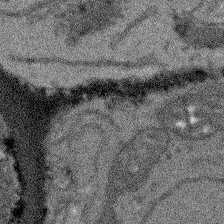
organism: Arabidopsis thaliana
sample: Root tip